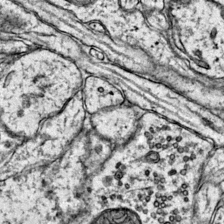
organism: Mouse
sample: Primary visual cortex